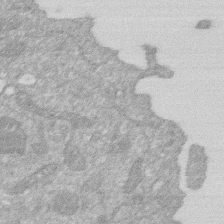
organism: Human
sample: HIV infected U937 cells